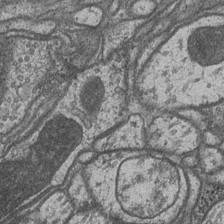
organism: Drosophila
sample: Optic medulla